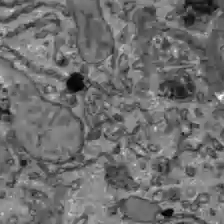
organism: C57BL Mouse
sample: Liver